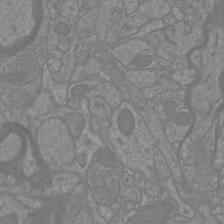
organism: Mouse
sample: Cortical neurons